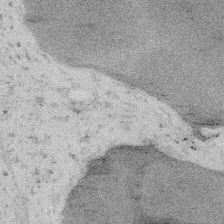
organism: Embia sp.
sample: Silk gland